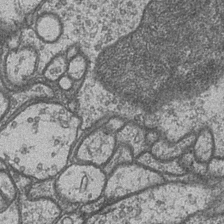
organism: Drosophila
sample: Optic medulla